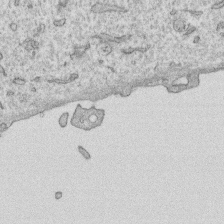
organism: Human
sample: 1205lu cells